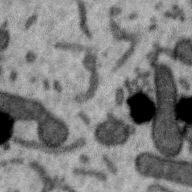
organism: Zebra finch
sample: Brain